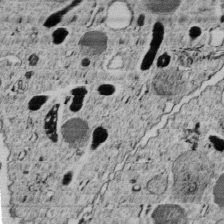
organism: C. elegans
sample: C. elegans embryo early stage